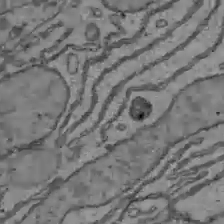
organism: C57BL Mouse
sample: Liver